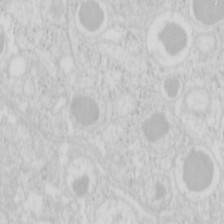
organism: Mouse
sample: Pancreas